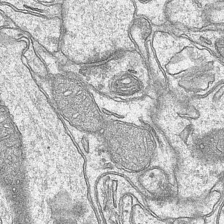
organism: Mouse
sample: CA1 Hippocampus